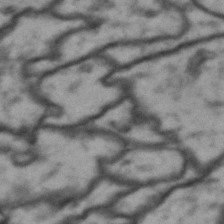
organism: Drosophila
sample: Brain